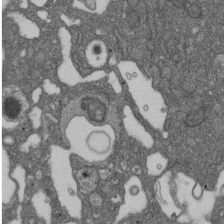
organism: Drosophila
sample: Nephrocyte